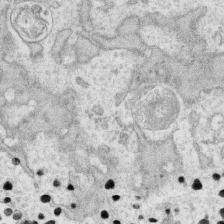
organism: Human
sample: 1205lu cells